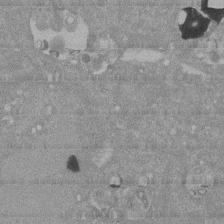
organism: Mouse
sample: ED-1 cell nuclei; centrioles